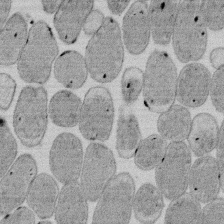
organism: E. coli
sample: Bacterial nucleoid